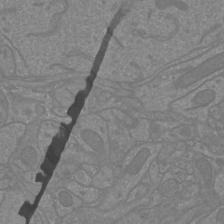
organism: Mouse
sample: Cortical neurons